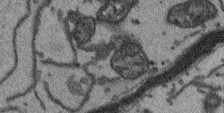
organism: Arabidopsis thaliana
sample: Root tip